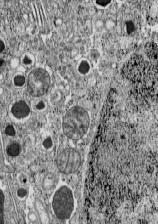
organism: C57BL Mouse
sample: Pancreatic islet